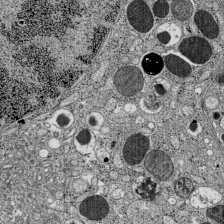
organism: C57BL Mouse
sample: Pancreatic islet